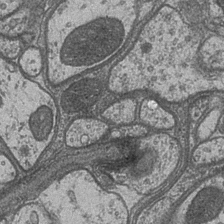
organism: Drosophila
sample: Optic medulla